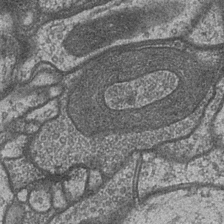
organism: Drosophila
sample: Optic medulla